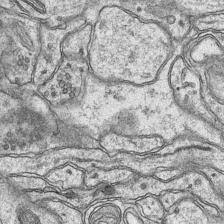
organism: Mouse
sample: CA1 Hippocampus